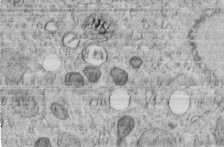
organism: C. elegans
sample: C. elegans embryo early stage